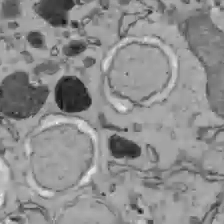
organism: C57BL Mouse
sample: Liver